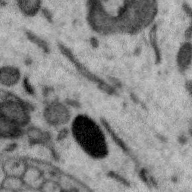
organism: Zebra finch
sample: Brain